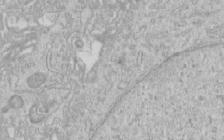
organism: Human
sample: Centriole in RPE cells